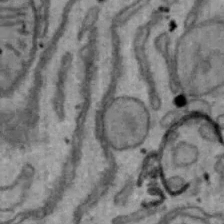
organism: Mouse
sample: Liver